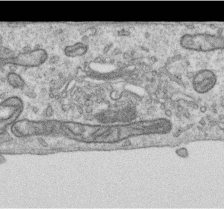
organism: Human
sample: Centriole in RPE cells